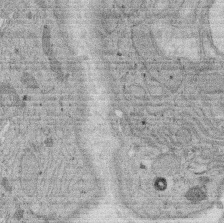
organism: Rat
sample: Salivary granule